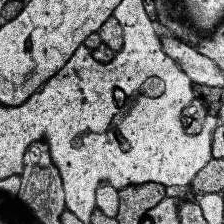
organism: Human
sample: Temporal Lobe